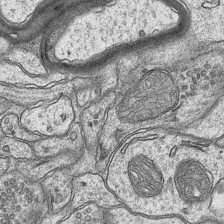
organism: Mouse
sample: CA1 Hippocampus